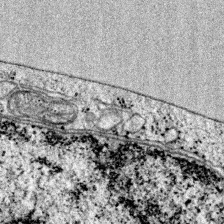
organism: Human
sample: HeLa cells